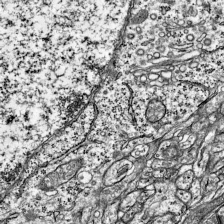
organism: Mouse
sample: Visual Cortex